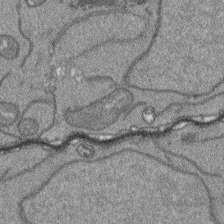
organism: Arabidopsis thaliana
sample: Root tip